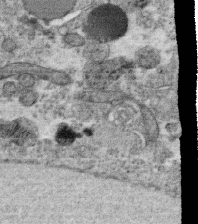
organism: C. elegans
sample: C. elegans oocyte; sperm cells